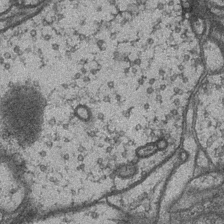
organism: Drosophila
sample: Optic medulla